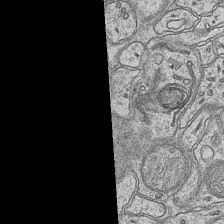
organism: Mouse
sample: CA1 Hippocampus